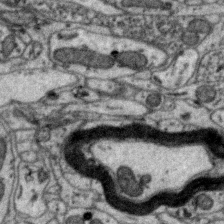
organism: Zebra finch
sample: Brain